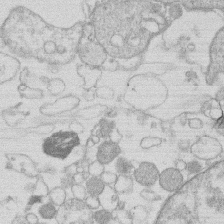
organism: Human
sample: Macrophage cells